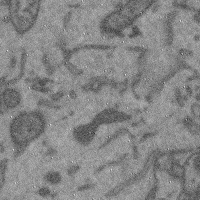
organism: Mouse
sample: Cerebral cortex